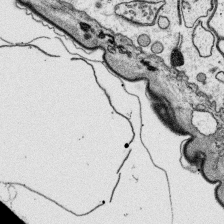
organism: Platynereis dumerilii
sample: Parapodia